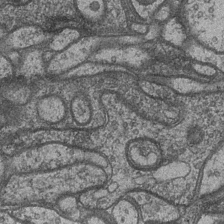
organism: Drosophila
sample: Optic medulla